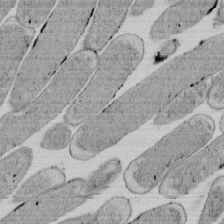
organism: E. coli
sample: Bacterial nucleoid